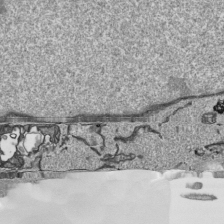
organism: Human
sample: Mitochondria in HCT116 cells